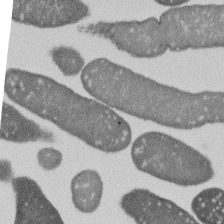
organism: E. coli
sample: Bacterial nucleoid